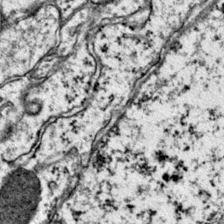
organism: Mouse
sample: Primary visual cortex